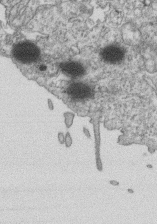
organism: Human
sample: HeLa cell HIV synapse